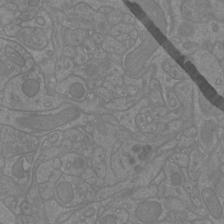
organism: Mouse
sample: Cortical neurons